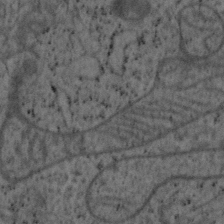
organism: Human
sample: HeLa cells